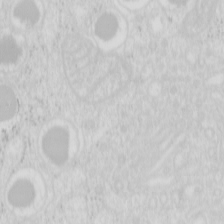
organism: Mouse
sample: Pancreas